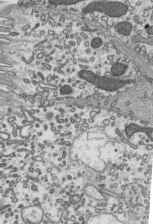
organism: Mouse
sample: Mouse epididymis efferent ductule cilia